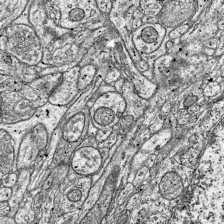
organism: Mouse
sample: Visual Cortex